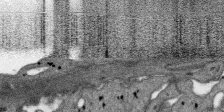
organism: Human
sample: Lung epithelial cells, uninfected (mock) control